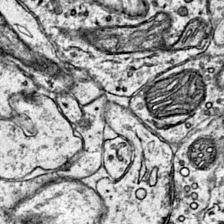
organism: Mouse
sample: Primary visual cortex